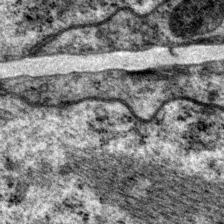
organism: P. pacificus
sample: Pharynx